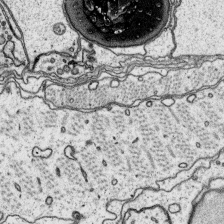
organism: Platynereis dumerilii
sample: Parapodia